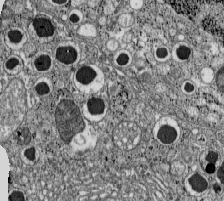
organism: C57BL Mouse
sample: Pancreatic islet